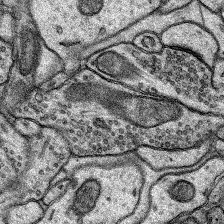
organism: Rat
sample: Hippocampus